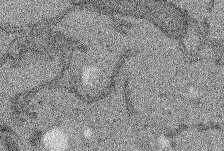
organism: Human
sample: HeLa cells